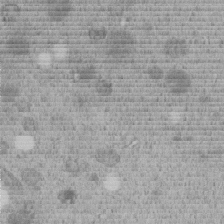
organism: C. elegans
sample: C. elegans embryo early stage